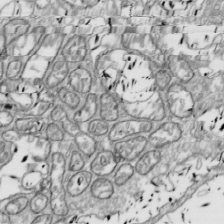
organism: Drosophila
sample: Cell division; meiosis; drosophila spermatocytes